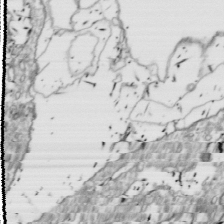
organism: Drosophila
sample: Cell division; meiosis; drosophila spermatocytes